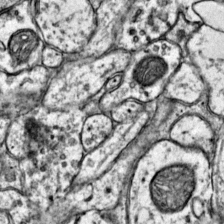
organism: Mouse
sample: Primary visual cortex